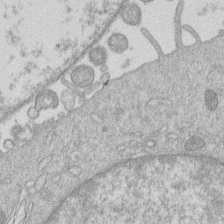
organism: Human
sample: Macrophage cells